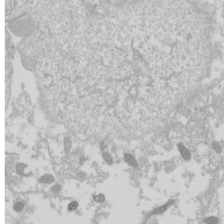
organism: Drosophila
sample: Cell division; meiosis; drosophila spermatocytes